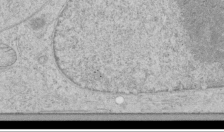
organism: Human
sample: Mitochondria in HCT116 cells